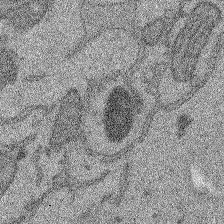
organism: Human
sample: HeLa cells